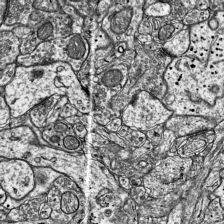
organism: Mouse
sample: Visual Cortex